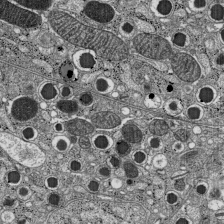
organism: C57BL Mouse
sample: Pancreatic islet